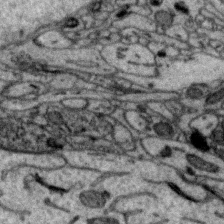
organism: Zebra finch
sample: Brain